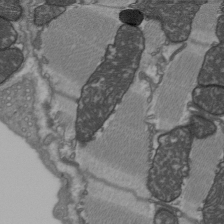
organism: C57BL Mouse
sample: Heart